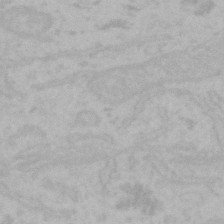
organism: Mouse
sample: Choroid plexus